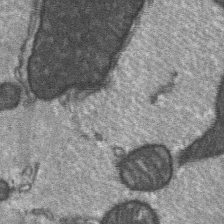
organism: C57BL Mouse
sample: Soleus